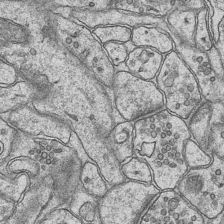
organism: Mouse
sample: CA1 Hippocampus